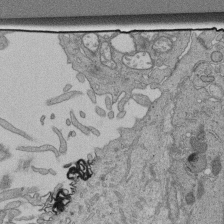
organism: Human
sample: Retinal organoid Rod and Cone cells